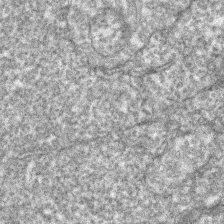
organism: Zebrafish